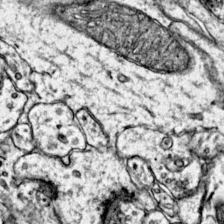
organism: Mouse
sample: Primary visual cortex